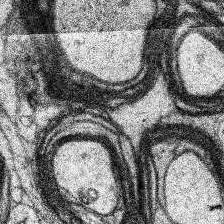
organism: Human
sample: Temporal Lobe